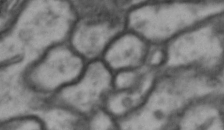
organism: Drosophila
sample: Brain